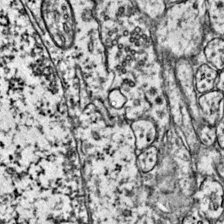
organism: Mouse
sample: Primary visual cortex